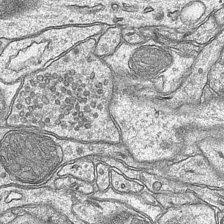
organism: Mouse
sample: CA1 Hippocampus